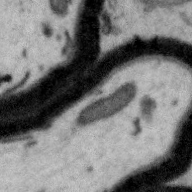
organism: Zebra finch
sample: Brain